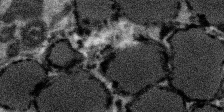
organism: Human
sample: Lung epithelial cells infected with SARS-CoV-2